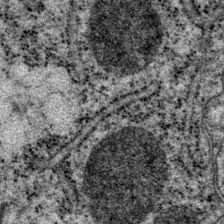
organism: P. pacificus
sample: Pharynx